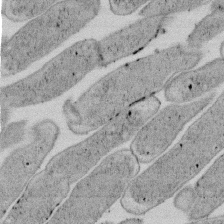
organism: E. coli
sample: Bacterial nucleoid